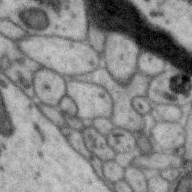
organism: Zebra finch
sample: Brain